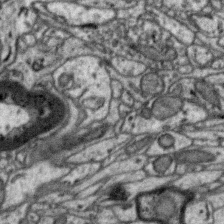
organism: Zebra finch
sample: Brain